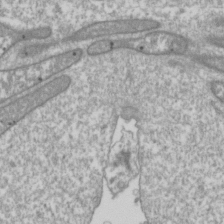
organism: Drosophila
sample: Cell division; meiosis; drosophila spermatocytes